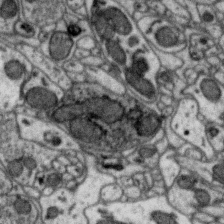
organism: Zebra finch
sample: Brain